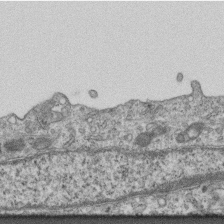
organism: Mouse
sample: Centriole in ependymal cells